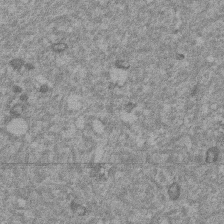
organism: Mouse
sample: Dividing mouse embryo 1 cell stage